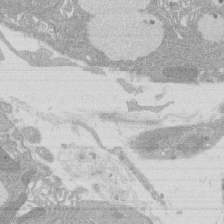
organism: Rat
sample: Salivary granule